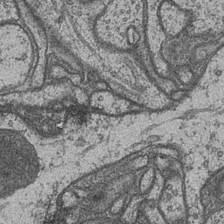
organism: Drosophila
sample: Optic medulla